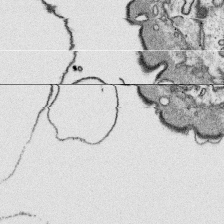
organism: Platynereis dumerilii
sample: Parapodia